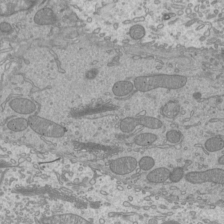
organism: Mouse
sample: Cilia; mouse epididymis